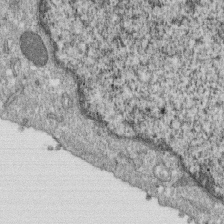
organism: African green monkey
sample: Vero E6 cells infected with SARS-CoV-2